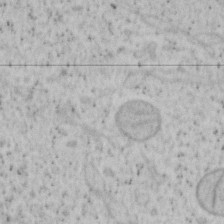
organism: Human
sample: HeLa cells